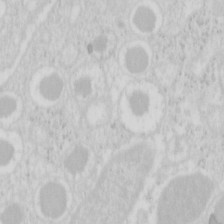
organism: Mouse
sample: Pancreas